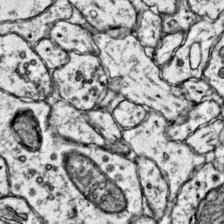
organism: Mouse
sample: Primary visual cortex